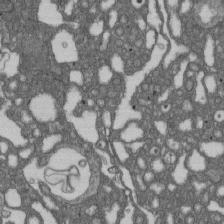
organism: Drosophila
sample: Nephrocyte